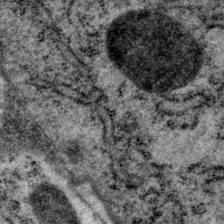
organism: P. pacificus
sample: Pharynx